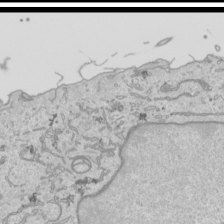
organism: Human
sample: Mitochondria in HCT116 cells